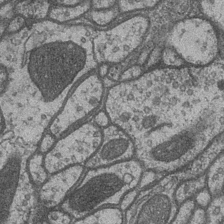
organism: Drosophila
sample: Optic medulla